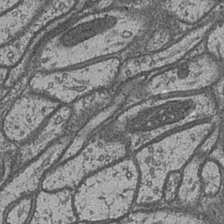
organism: Drosophila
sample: Optic medulla